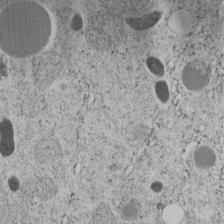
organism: C. elegans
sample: C. elegans embryo early stage